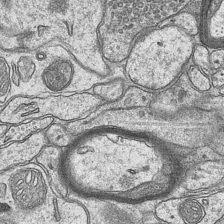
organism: Mouse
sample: CA1 Hippocampus